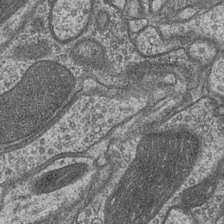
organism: Drosophila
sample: Optic medulla